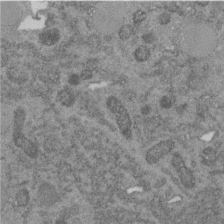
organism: C. elegans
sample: C. elegans embryo early stage